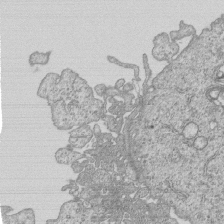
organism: Human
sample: MDA-MB-231 cells